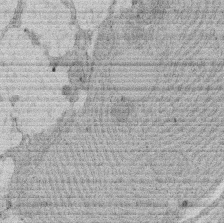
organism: Rat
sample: Salivary granule